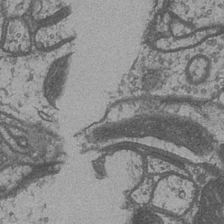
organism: Drosophila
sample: Optic medulla